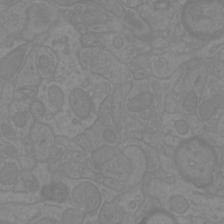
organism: Mouse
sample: Cortical neurons